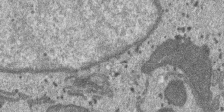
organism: Human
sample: Lung epithelial cells infected with SARS-CoV-2